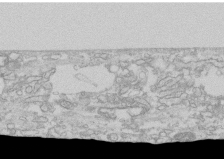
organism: Human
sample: CRL-1474